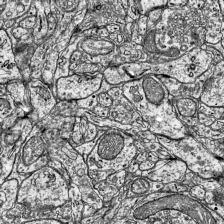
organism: Mouse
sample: Visual Cortex